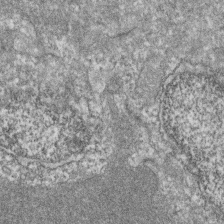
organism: Zebrafish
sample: Cilia; retinal pigment epithelium